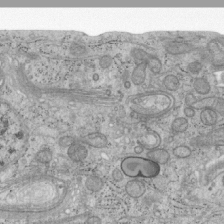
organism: Human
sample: HeLa cells